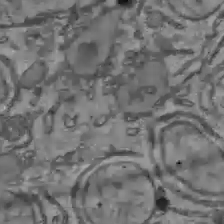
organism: C57BL Mouse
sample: Liver